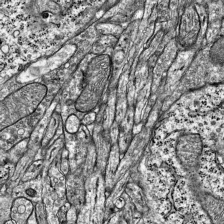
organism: Mouse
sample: Visual Cortex